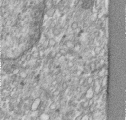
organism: Human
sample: Centriole in RPE cells